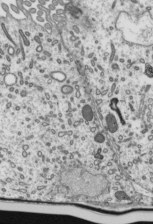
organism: Mouse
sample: Mouse epididymis efferent ductule cilia